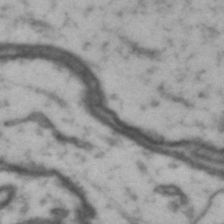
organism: Drosophila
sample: Brain